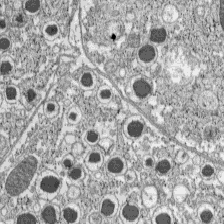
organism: C57BL Mouse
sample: Pancreatic islet